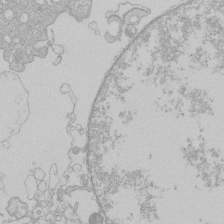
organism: Human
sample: Macrophage cells